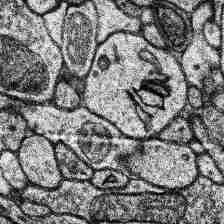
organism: Human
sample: Temporal Lobe